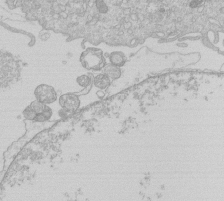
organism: Human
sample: Macrophage cells